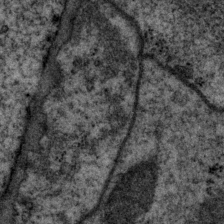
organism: P. pacificus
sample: Pharynx